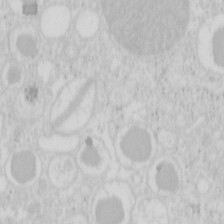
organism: Mouse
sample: Pancreas